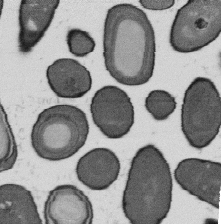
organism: B. subtilis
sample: Bacterial spore